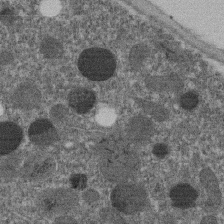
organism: C. elegans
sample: C. elegans embryo early stage